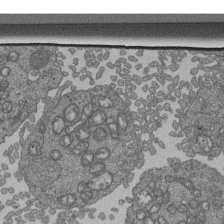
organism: Human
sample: Retinal organoid Rod and Cone cells